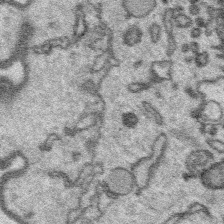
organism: Platynereis dumerilii